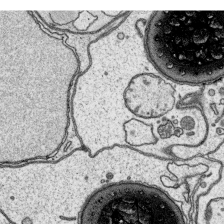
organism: Platynereis dumerilii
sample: Parapodia